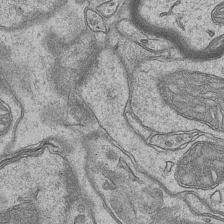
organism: Mouse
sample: CA1 Hippocampus